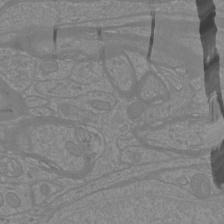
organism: Mouse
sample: Cortical neurons